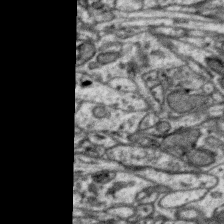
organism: Zebra finch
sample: Brain